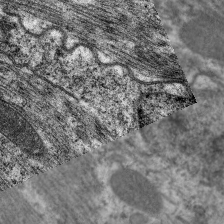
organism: C. elegans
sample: Pharynx